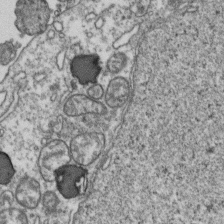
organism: Human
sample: Activated Jurkat CD4+ T cells